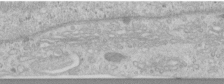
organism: Human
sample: Centriole in RPE cells